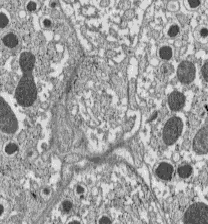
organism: C57BL Mouse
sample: Pancreatic islet